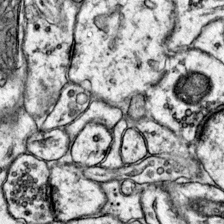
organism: Mouse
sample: Primary visual cortex